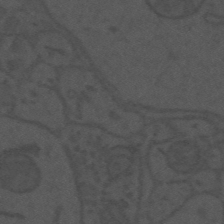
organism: Mouse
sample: Suprachiasmatic nucleus